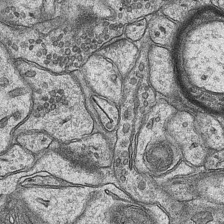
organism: Mouse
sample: CA1 Hippocampus